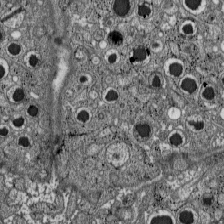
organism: C57BL Mouse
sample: Pancreatic islet